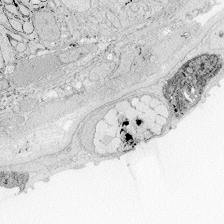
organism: Zebrafish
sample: Whole-Brain